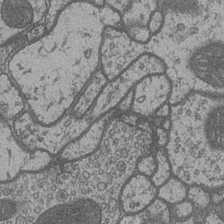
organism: Drosophila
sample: Optic medulla